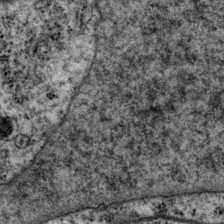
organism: P. pacificus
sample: Pharynx